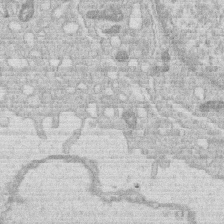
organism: Human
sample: Macrophage cells